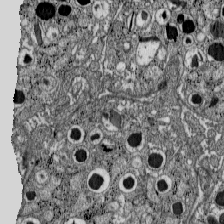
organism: C57BL Mouse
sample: Pancreatic islet